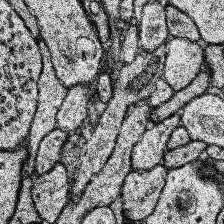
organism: Human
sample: Temporal Lobe